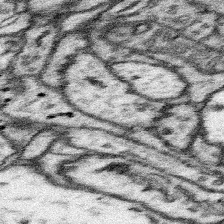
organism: Mouse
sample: Somatosensory cortex neuropil